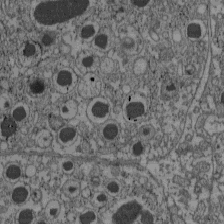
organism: C57BL Mouse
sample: Pancreatic islet